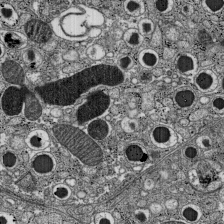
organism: C57BL Mouse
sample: Pancreatic islet